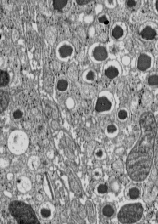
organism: C57BL Mouse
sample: Pancreatic islet